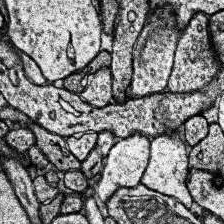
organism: Human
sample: Temporal Lobe